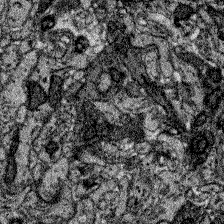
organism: Zebrafish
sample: Larval olfactory bulb